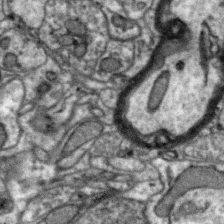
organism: Zebra finch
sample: Brain